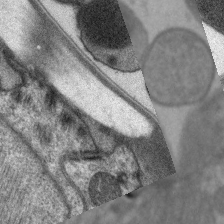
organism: C. elegans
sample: Pharynx